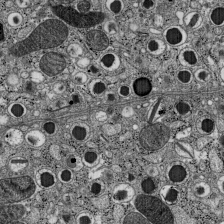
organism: C57BL Mouse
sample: Pancreatic islet